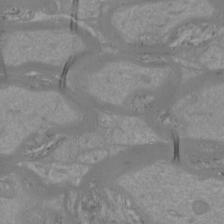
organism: Mouse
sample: Cortical neurons